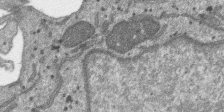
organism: Human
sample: Lung epithelial cells infected with SARS-CoV-2